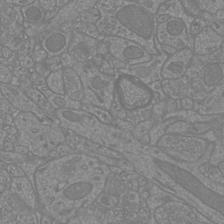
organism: Mouse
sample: Cortical neurons